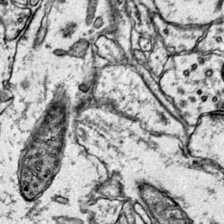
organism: Mouse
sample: Primary visual cortex